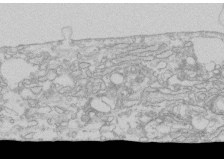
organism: Human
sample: CRL-1474